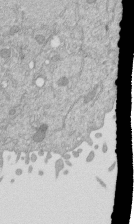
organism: Mouse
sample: ED-1 cell nuclei; centrioles